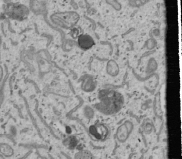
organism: Human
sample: Mitochondria in U2OS cells